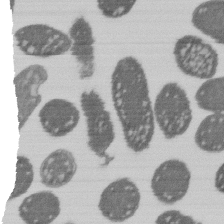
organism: E. coli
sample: Bacterial nucleoid